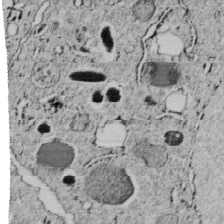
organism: C. elegans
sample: C. elegans embryo early stage